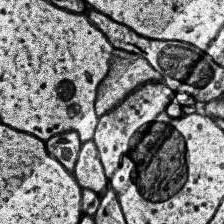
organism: Human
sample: Temporal Lobe